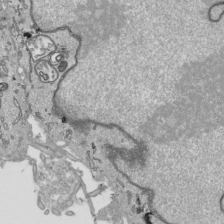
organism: Human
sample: Mitochondria in HCT116 cells